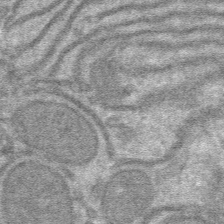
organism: Mouse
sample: Mouse hepatocytes